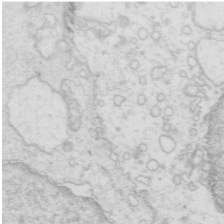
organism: Mouse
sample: Multiciliated cells